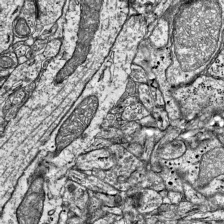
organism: Mouse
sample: Visual Cortex